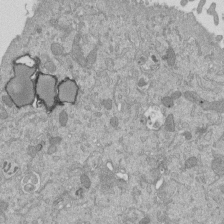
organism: Mouse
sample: ED-1 cell nuclei; centrioles